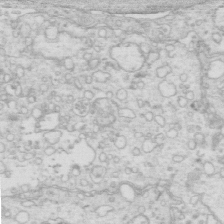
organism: Mouse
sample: Multiciliated cells